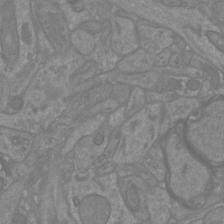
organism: Mouse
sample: Cortical neurons